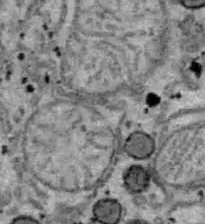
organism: Mouse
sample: Liver from an obese (ob/ob) mouse